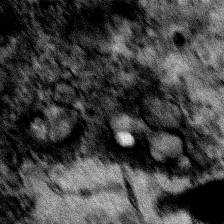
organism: Human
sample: Mitochondria in HCT116 cells